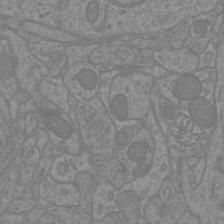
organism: Mouse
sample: Cortical neurons